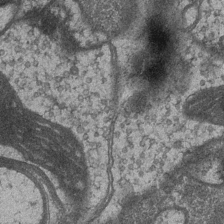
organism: Drosophila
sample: Optic medulla